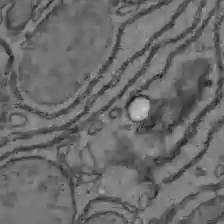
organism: C57BL Mouse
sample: Liver